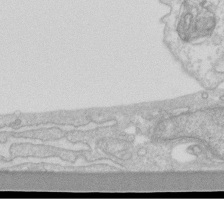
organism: Human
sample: Fibroblast cells